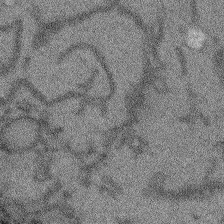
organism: Arabidopsis thaliana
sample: Root tip